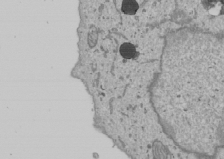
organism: Human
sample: Mitochondria in U2OS cells